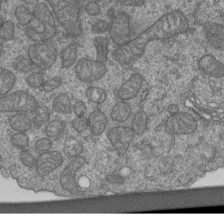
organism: Human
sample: Retinal organoid Rod and Cone cells